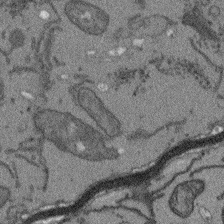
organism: Arabidopsis thaliana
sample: Root tip